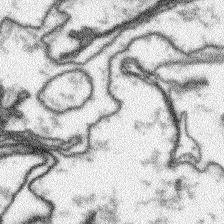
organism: Arabidopsis thaliana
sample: Root tip